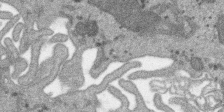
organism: Human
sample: Lung epithelial cells infected with SARS-CoV-2